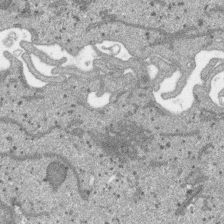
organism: Human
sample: Lung epithelial cells infected with SARS-CoV-2